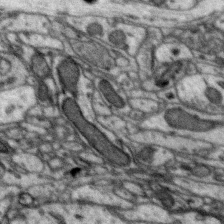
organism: Zebra finch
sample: Brain